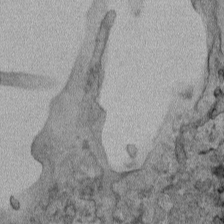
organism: Human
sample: Mitochondria in HCT116 cells